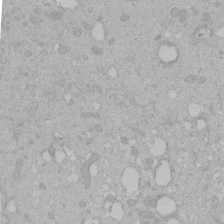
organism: Human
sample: Melanocyte Keratinocyte synapse skin construct